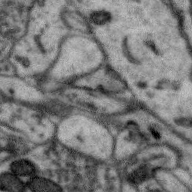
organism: Zebra finch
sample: Brain